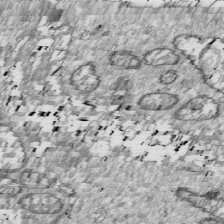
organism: Drosophila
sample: Cell division; meiosis; drosophila spermatocytes